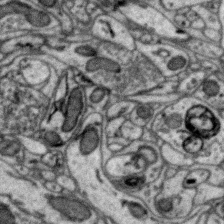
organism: Zebra finch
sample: Brain